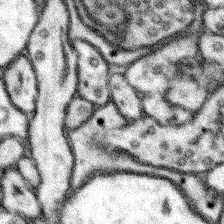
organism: Mouse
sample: Somatosensory cortex neuropil